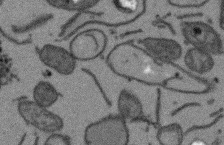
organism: Arabidopsis thaliana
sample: Root tip